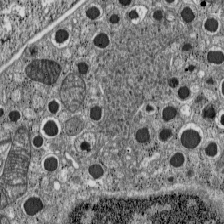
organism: C57BL Mouse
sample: Pancreatic islet